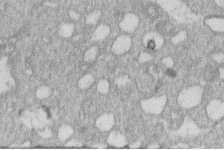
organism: Human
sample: Macrophage cells